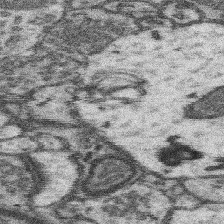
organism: Mouse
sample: Somatosensory cortex neuropil